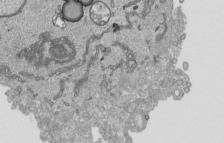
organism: Human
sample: Mitochondria in HCT116 cells